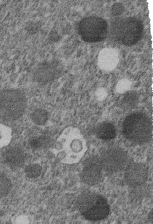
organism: C. elegans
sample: C. elegans embryo early stage